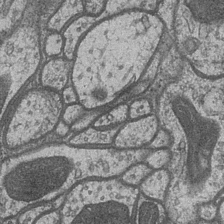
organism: Drosophila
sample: Optic medulla